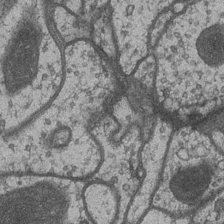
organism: Drosophila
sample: Optic medulla